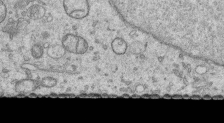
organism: Human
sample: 1205lu cells